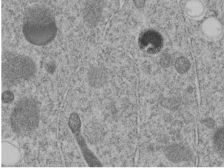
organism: C. elegans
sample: C. elegans embryo early stage